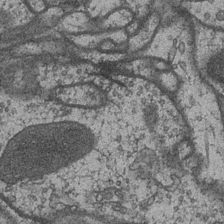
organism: Drosophila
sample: Optic medulla